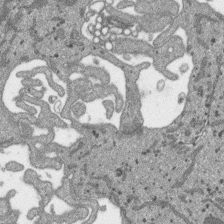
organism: Human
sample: Lung epithelial cells infected with SARS-CoV-2